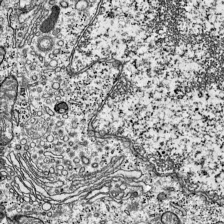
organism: Mouse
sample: Visual Cortex